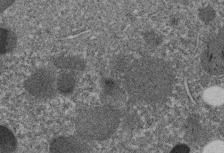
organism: C. elegans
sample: C. elegans embryo early stage